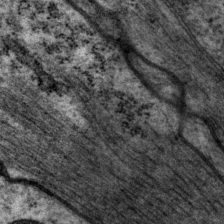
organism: P. pacificus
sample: Pharynx